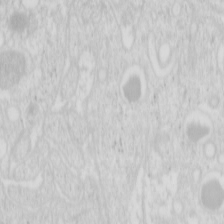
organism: Mouse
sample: Pancreas